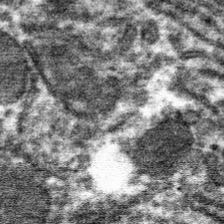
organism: Mouse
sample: Mouse hepatocytes